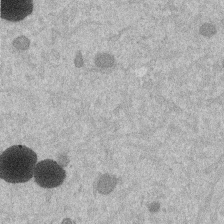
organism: Mouse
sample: Dividing mouse embryo 1 cell stage